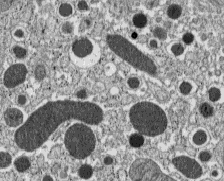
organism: C57BL Mouse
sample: Pancreatic islet